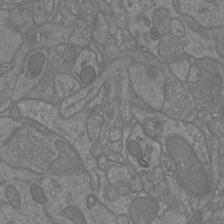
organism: Mouse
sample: Cortical neurons